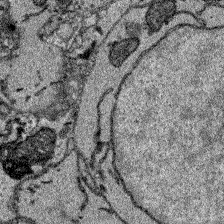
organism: Zebrafish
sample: Larval olfactory bulb